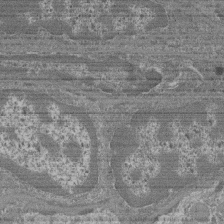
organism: Mouse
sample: Glomerulus